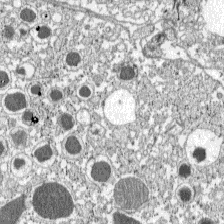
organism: C57BL Mouse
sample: Pancreatic islet